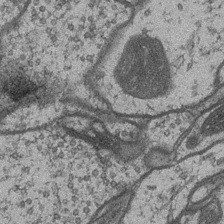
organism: Drosophila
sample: Optic medulla